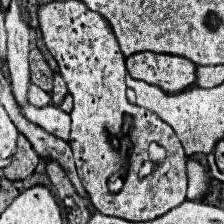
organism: Human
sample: Temporal Lobe